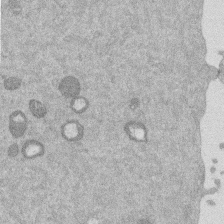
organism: Mouse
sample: Dividing mouse embryo 1 cell stage